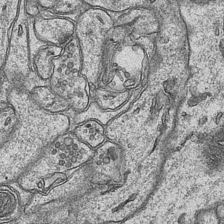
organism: Mouse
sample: CA1 Hippocampus